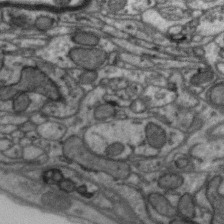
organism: Zebra finch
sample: Brain